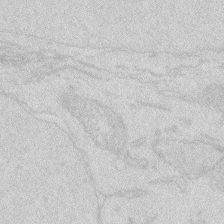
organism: Zebrafish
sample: Macrophage